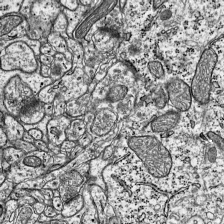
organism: Mouse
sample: Visual Cortex